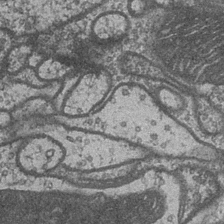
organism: Drosophila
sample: Optic medulla